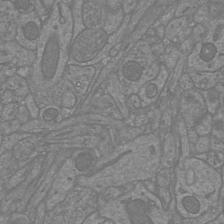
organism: Mouse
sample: Cortical neurons